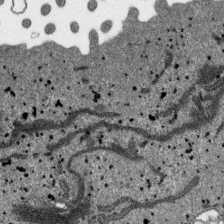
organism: Human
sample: Lung epithelial cells, uninfected (mock) control